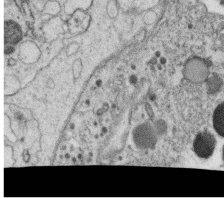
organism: C. elegans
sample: C. elegans oocyte; sperm cells